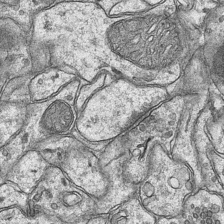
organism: Mouse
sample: CA1 Hippocampus